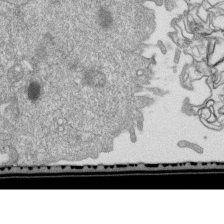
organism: Human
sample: HeLa cell HIV synapse